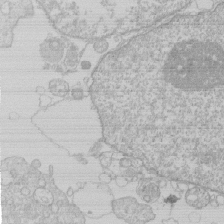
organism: Human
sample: Macrophage cells